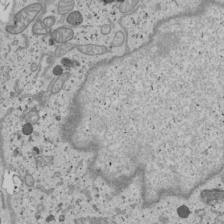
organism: Human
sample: Mitochondria in U2OS cells